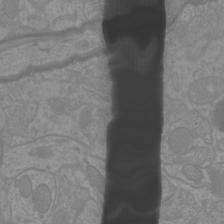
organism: Mouse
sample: Cortical neurons